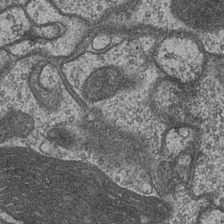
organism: Drosophila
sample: Optic medulla